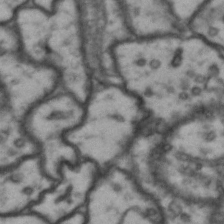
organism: Drosophila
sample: Brain